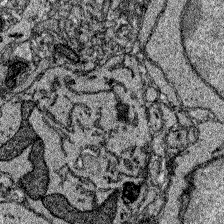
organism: Zebrafish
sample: Larval olfactory bulb